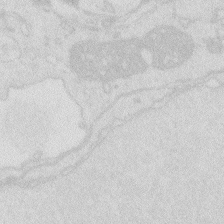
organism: Zebrafish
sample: Macrophage